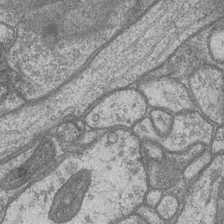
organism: Drosophila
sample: Optic medulla